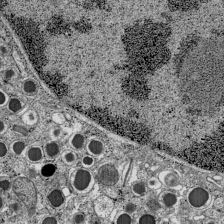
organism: C57BL Mouse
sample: Pancreatic islet